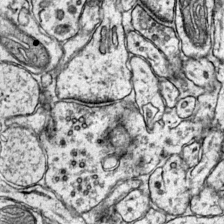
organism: Mouse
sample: Primary visual cortex